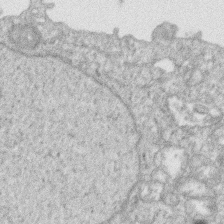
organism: Human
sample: HeLa cell HIV synapse